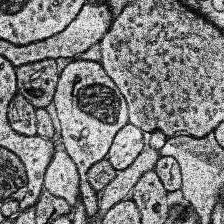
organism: Human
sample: Temporal Lobe